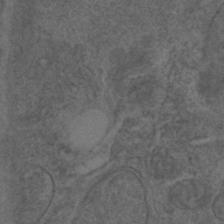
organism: C. elegans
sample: C. elegans embryo